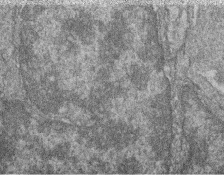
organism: Zebrafish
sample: Cilia; retinal pigment epithelium